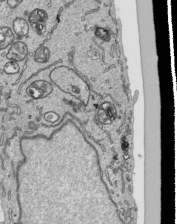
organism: Human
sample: Mitochondria in HCT116 cells